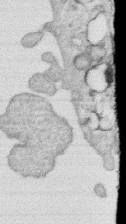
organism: Human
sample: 1205lu cells